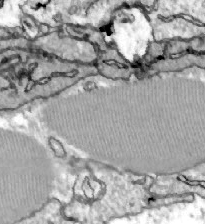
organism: Zebrafish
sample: Actinotrichia fibers